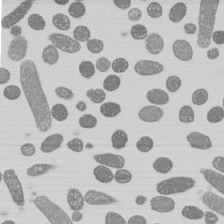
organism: E. coli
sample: Bacterial nucleoid